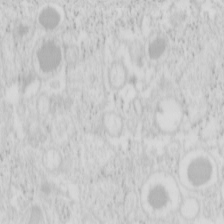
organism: Mouse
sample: Pancreas